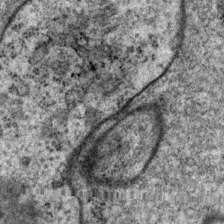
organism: P. pacificus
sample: Pharynx